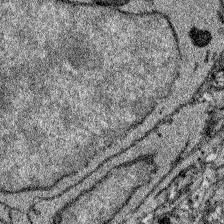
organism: Zebrafish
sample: Larval olfactory bulb